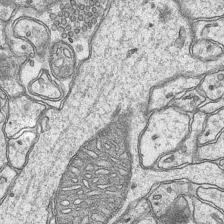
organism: Mouse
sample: CA1 Hippocampus